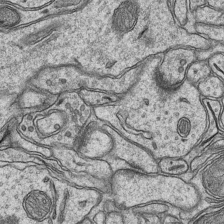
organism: Mouse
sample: CA1 Hippocampus